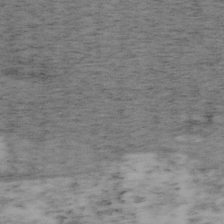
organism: Mouse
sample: OT-I killer T cells with ID8 ovarian cancer cells